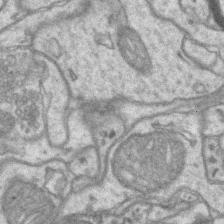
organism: Mouse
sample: CA1 Hippocampus